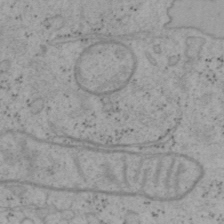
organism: Human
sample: HeLa cells